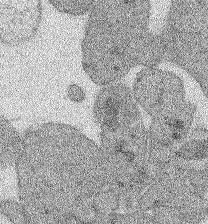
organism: Human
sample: HeLa cells